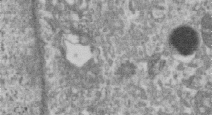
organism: Human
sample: Centriole in RPE cells